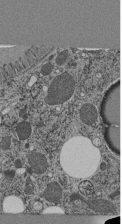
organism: C. elegans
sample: C. elegans pharynx